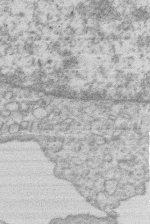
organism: Human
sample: Macrophage cells